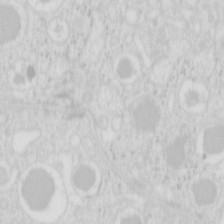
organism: Mouse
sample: Pancreas